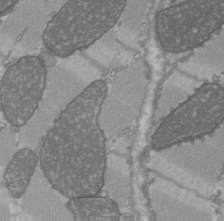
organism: C57BL Mouse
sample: Heart